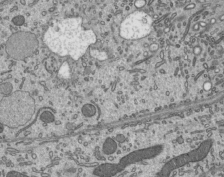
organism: Mouse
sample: Mouse epididymis efferent ductule cilia